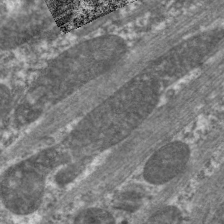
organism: C. elegans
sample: Pharynx